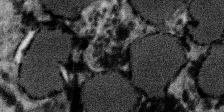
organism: Human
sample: Lung epithelial cells infected with SARS-CoV-2